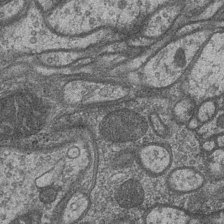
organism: Drosophila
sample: Optic medulla